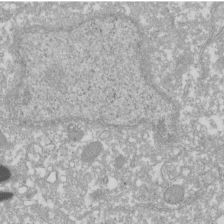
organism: Xenopus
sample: Cilia; centrioles in frog embryo cells